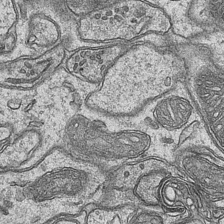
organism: Mouse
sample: CA1 Hippocampus